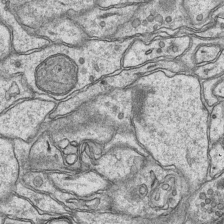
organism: Mouse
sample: CA1 Hippocampus